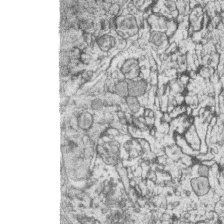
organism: Zebrafish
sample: synaptic ribbons in rod cells and cone cells